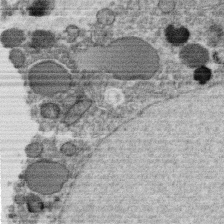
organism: C. elegans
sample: C. elegans oocyte; sperm cells